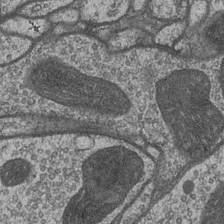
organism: Drosophila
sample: Optic medulla